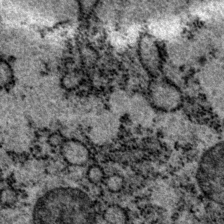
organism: P. pacificus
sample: Pharynx